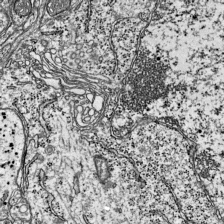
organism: Mouse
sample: Visual Cortex